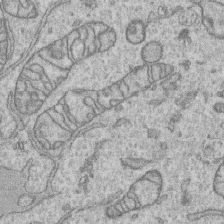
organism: Human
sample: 1205lu cells